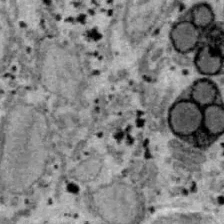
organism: Mouse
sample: Liver from an obese (ob/ob) mouse